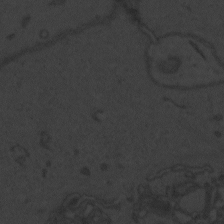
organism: Zebrafish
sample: Macrophage infected with Toxoplasma gondii